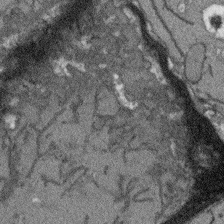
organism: Arabidopsis thaliana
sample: Root tip